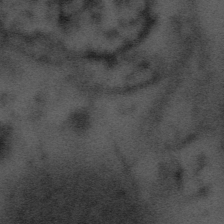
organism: Tuwongella immobilis